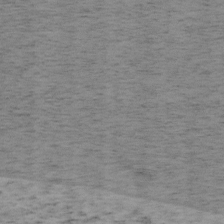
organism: Mouse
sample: OT-I killer T cells with ID8 ovarian cancer cells